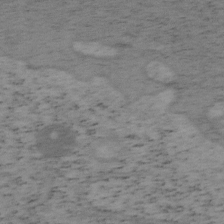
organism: Mouse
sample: OT-I killer T cells with ID8 ovarian cancer cells